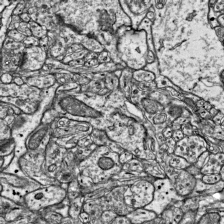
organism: Mouse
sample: Visual Cortex